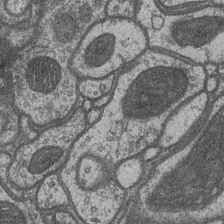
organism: Drosophila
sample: Optic medulla